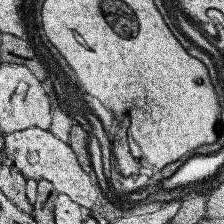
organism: Human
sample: Temporal Lobe